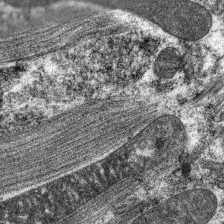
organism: C. elegans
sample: Pharynx